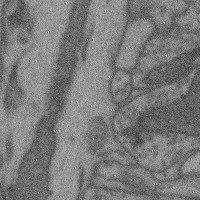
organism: Mouse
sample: Cerebral cortex